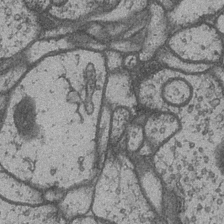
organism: Drosophila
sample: Optic medulla